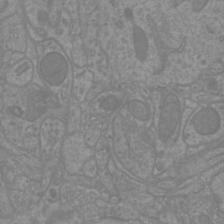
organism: Mouse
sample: Cortical neurons